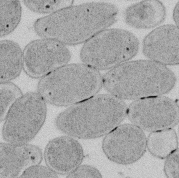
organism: E. coli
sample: Bacterial nucleoid